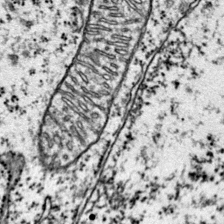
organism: Mouse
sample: Primary visual cortex